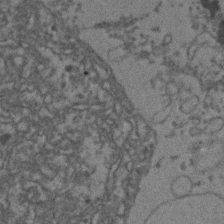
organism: Zebrafish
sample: Zebrafish embryo